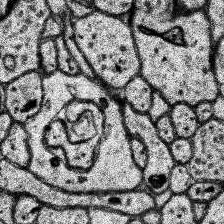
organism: Human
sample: Temporal Lobe